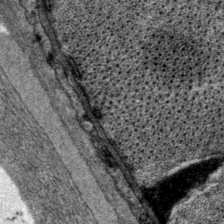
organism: P. pacificus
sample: Pharynx